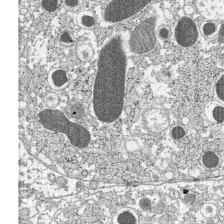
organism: C57BL Mouse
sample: Pancreatic islet